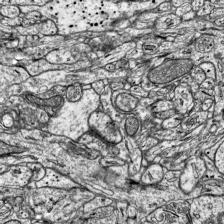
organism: Mouse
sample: Visual Cortex